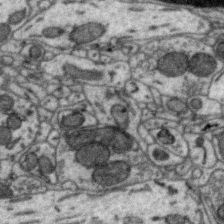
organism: Zebra finch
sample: Brain